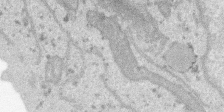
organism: Human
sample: Lung epithelial cells infected with SARS-CoV-2